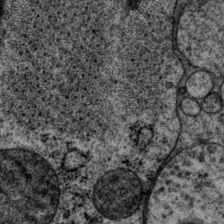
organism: P. pacificus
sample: Pharynx